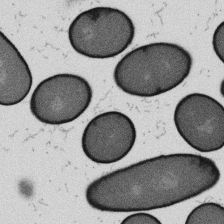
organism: B. subtilis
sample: Bacterial spore